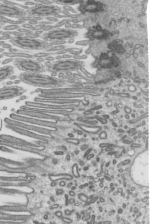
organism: Mouse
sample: Mouse epididymis efferent ductule cilia